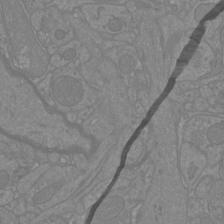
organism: Mouse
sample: Cortical neurons